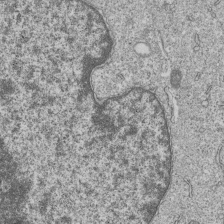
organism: Human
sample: MDA-MB-231 cells